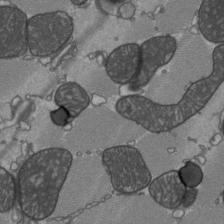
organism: C57BL Mouse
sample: Heart